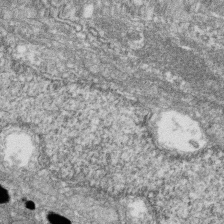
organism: Zebrafish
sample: Cilia; retinal pigment epithelium